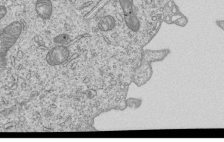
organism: Human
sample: MDA-MB-231 cells